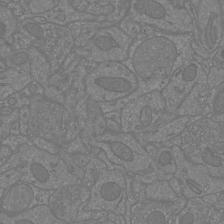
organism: Mouse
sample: Cortical neurons